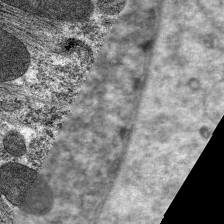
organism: C. elegans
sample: Pharynx